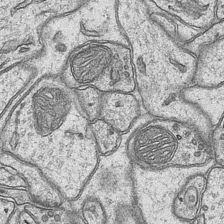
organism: Mouse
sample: CA1 Hippocampus